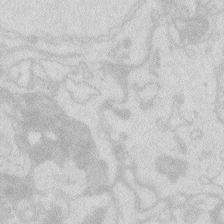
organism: Zebrafish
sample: Macrophage